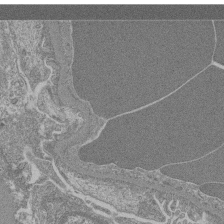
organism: Mouse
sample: Glomerulus